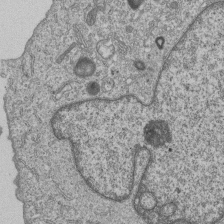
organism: Human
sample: MDA-MB-231 cells